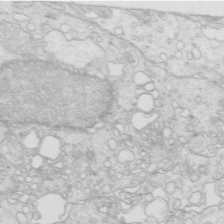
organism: Mouse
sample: Multiciliated cells